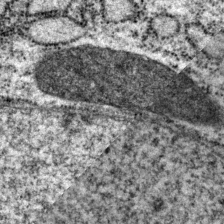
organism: P. pacificus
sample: Pharynx